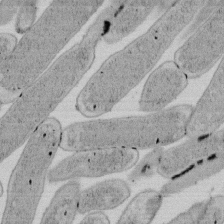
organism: E. coli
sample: Bacterial nucleoid